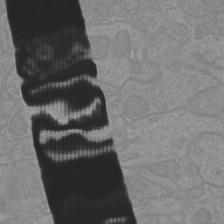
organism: Mouse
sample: Cortical neurons